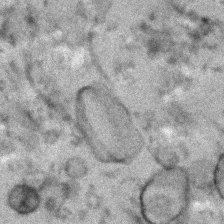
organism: Human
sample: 1205lu cells